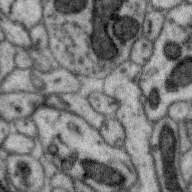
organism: Zebra finch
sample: Brain